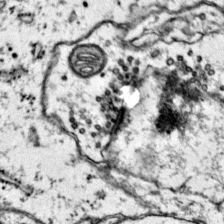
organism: Mouse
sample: Primary visual cortex